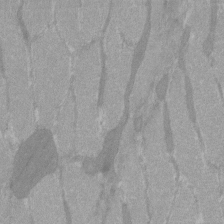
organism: C57BL Mouse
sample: Tibialis anterior muscle cell